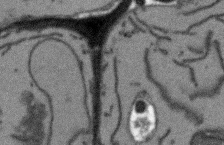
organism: Arabidopsis thaliana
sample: Root tip